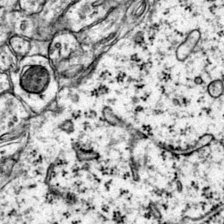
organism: Mouse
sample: Primary visual cortex